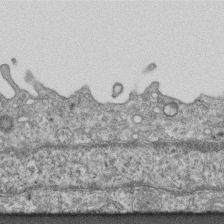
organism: Mouse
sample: Centriole in ependymal cells